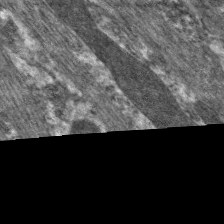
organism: C. elegans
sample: Pharynx